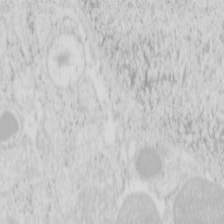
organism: Mouse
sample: Pancreas